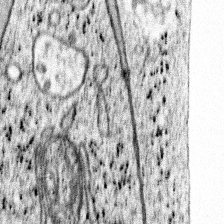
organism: Human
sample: HeLa cells